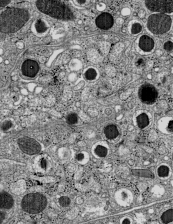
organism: C57BL Mouse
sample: Pancreatic islet